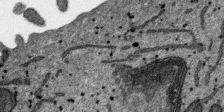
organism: Human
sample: Lung epithelial cells, uninfected (mock) control